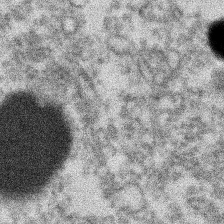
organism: Xenopus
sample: Cilia; centrioles in frog embryo cells